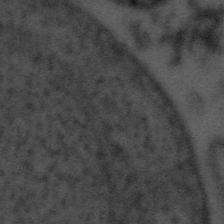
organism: Tuwongella immobilis